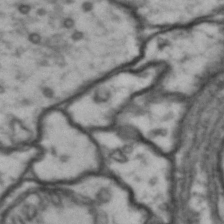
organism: Drosophila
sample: Brain